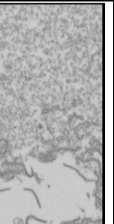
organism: Drosophila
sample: Cell division; meiosis; drosophila spermatocytes